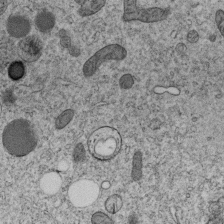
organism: C. elegans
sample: C. elegans embryo early stage